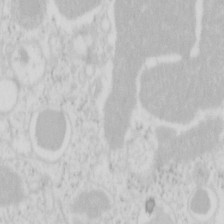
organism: Mouse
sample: Pancreas